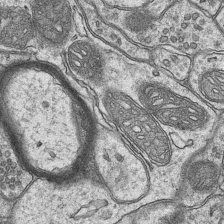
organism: Mouse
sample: CA1 Hippocampus